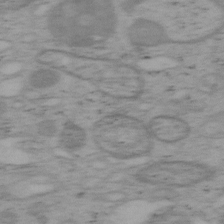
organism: Mouse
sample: OT-I killer T cells with ID8 ovarian cancer cells